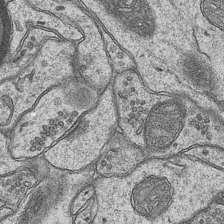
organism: Mouse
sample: CA1 Hippocampus